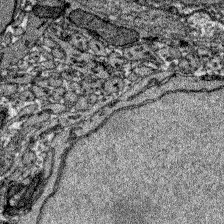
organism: Zebrafish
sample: Larval olfactory bulb